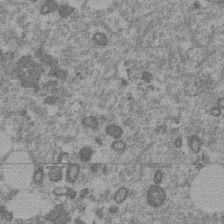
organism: Mouse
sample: Dividing mouse embryo 1 cell stage